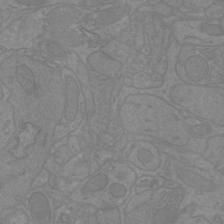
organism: Mouse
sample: Cortical neurons